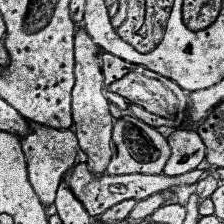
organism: Human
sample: Temporal Lobe